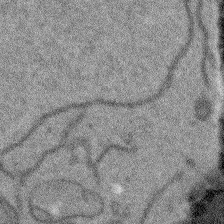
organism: Arabidopsis thaliana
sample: Root tip